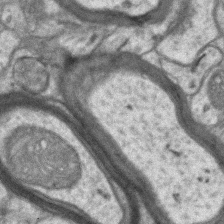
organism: Mouse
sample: CA1 Hippocampus